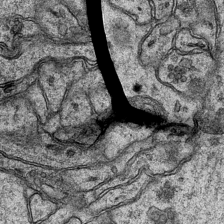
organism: Mouse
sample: CA1 Hippocampus